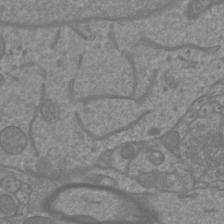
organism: Mouse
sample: Cortical neurons